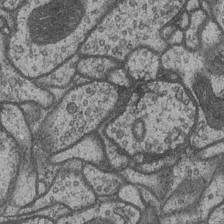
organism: Drosophila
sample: Optic medulla